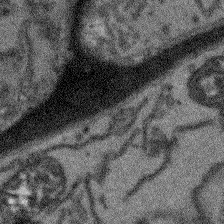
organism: Arabidopsis thaliana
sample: Root tip